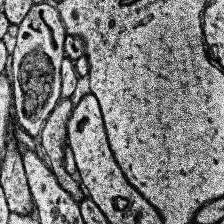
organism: Human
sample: Temporal Lobe